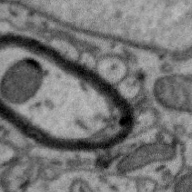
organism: Zebra finch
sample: Brain